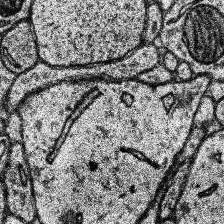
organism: Human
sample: Temporal Lobe